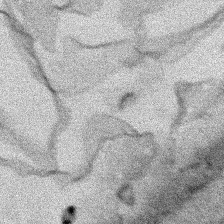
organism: Human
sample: Mitochondria in HCT116 cells